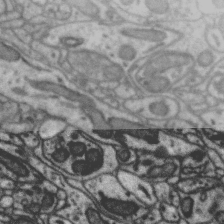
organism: Zebra finch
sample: Brain